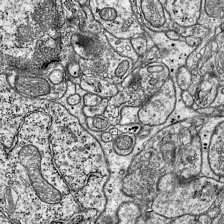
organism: Mouse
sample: Visual Cortex